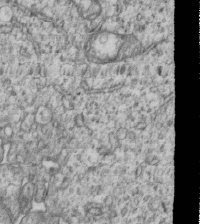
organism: Human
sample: MDA-MB-231 cells